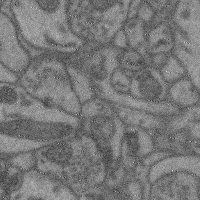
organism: Mouse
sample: Cerebral cortex